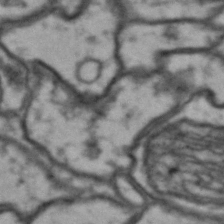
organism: Drosophila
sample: Brain